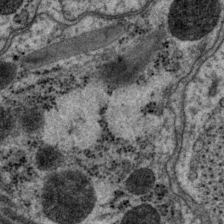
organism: P. pacificus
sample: Pharynx